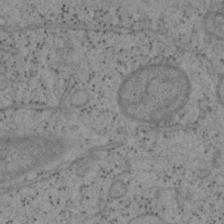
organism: Human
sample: HeLa cells